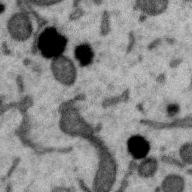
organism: Zebra finch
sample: Brain